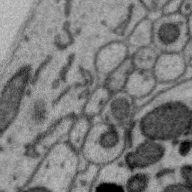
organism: Zebra finch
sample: Brain